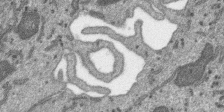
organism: Human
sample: Lung epithelial cells infected with SARS-CoV-2